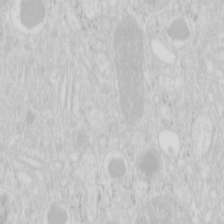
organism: Mouse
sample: Pancreas